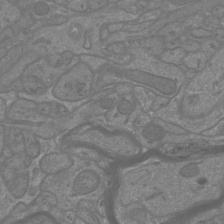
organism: Mouse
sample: Cortical neurons